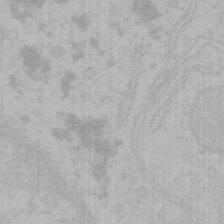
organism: Mouse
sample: Choroid plexus